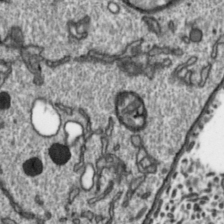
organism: Toxoplasma gondii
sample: Parasites in a vacuole inside a host cell